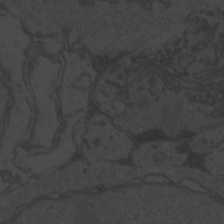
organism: Zebrafish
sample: Macrophage infected with Toxoplasma gondii